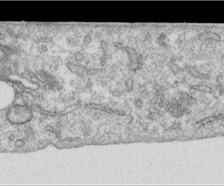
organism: Human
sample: Centriole in RPE cells